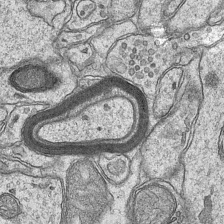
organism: Mouse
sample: CA1 Hippocampus